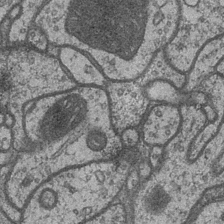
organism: Drosophila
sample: Optic medulla